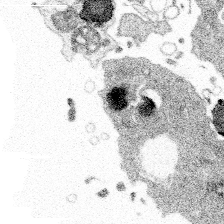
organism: Spongilla lacustris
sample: Multiple